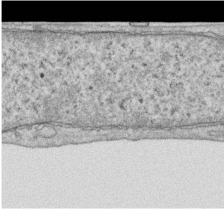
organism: Human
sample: Centriole in RPE cells